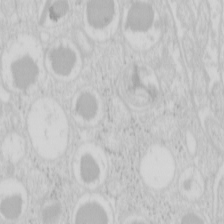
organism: Mouse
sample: Pancreas